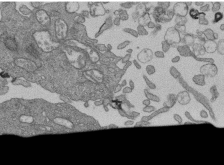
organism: Human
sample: Retinal organoid Rod and Cone cells